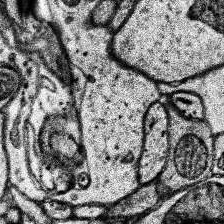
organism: Human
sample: Temporal Lobe